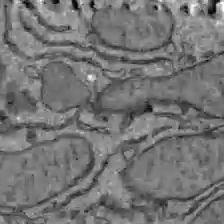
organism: C57BL Mouse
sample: Liver